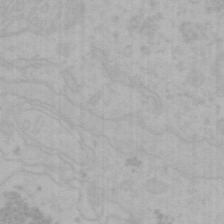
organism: Mouse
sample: Choroid plexus